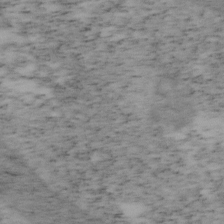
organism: Mouse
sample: OT-I killer T cells with ID8 ovarian cancer cells